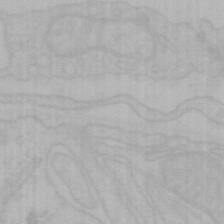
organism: Mouse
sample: Choroid plexus